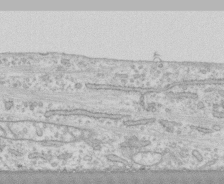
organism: Human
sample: CRL-1474